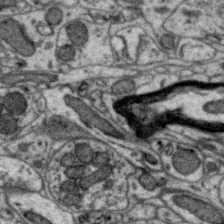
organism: Zebra finch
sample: Brain